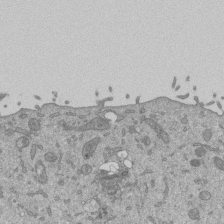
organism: Mouse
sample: ED-1 cell nuclei; centrioles